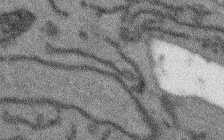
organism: Arabidopsis thaliana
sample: Root tip